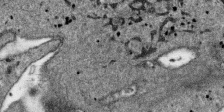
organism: Human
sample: Lung epithelial cells, uninfected (mock) control